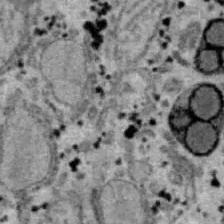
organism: Mouse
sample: Liver from an obese (ob/ob) mouse